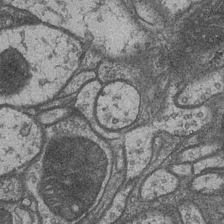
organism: Drosophila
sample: Optic medulla